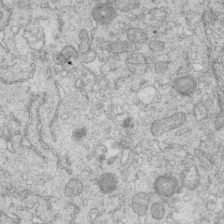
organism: Mouse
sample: Multiciliated cells